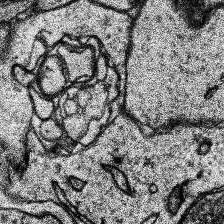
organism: Human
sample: Temporal Lobe